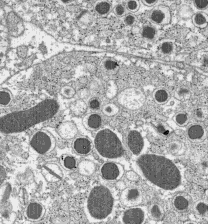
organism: C57BL Mouse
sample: Pancreatic islet